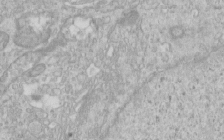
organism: Human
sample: Centriole in RPE cells